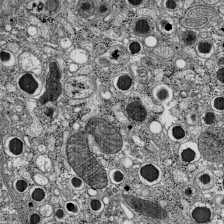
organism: C57BL Mouse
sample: Pancreatic islet